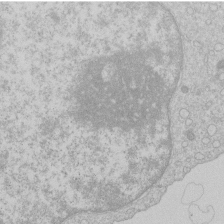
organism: Human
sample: Macrophage cells